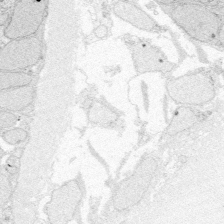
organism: Zebrafish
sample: Whole-Brain